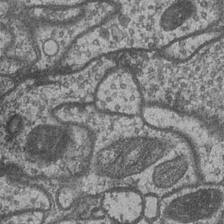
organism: Drosophila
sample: Optic medulla